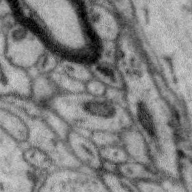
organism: Zebra finch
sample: Brain